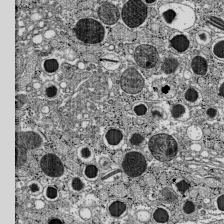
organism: C57BL Mouse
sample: Pancreatic islet